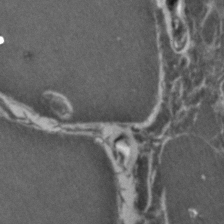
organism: Zebrafish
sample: Zebrafish embryo